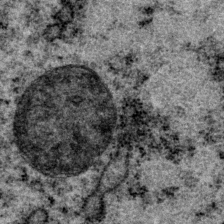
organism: P. pacificus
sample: Pharynx